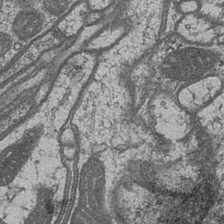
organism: Drosophila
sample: Optic medulla